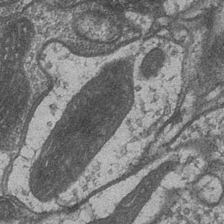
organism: Drosophila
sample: Optic medulla